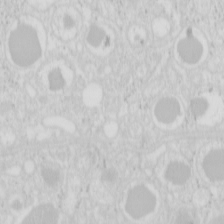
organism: Mouse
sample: Pancreas